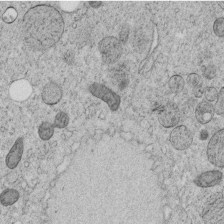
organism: C. elegans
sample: C. elegans embryo early stage